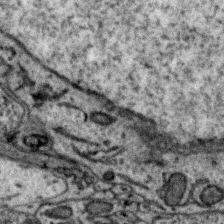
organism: Zebra finch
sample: Brain